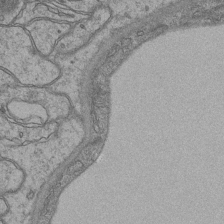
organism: Mouse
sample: CA1 Hippocampus